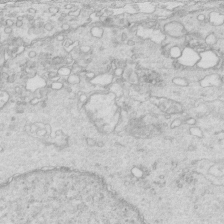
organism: Mouse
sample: Multiciliated cells